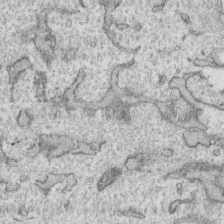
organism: Human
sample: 1205lu cells